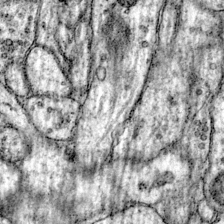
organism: Mouse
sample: Primary visual cortex